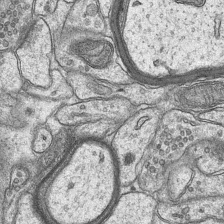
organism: Mouse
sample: CA1 Hippocampus